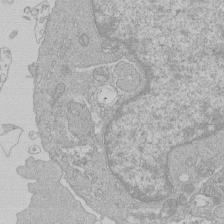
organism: Human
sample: Macrophage cells